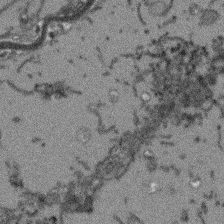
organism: Arabidopsis thaliana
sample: Root tip